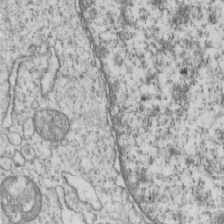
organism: Human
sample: MDA-MB-231 cells